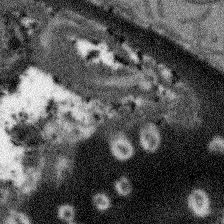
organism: Arabidopsis thaliana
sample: Root tip